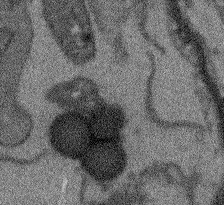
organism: Arabidopsis thaliana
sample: Root tip